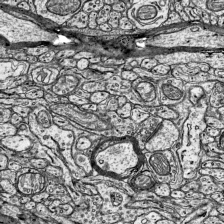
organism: Mouse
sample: Visual Cortex